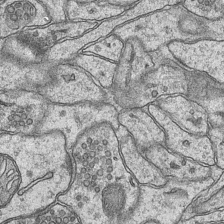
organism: Mouse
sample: CA1 Hippocampus